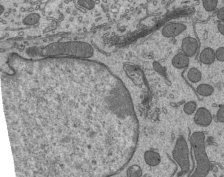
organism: Mouse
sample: Mouse epididymis efferent ductule cilia